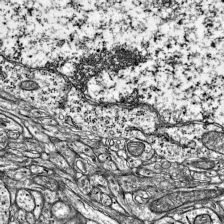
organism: Mouse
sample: Visual Cortex